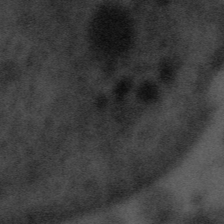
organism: Tuwongella immobilis